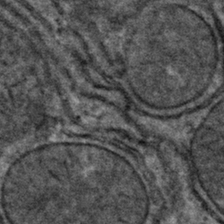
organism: Mouse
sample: Mouse hepatocytes